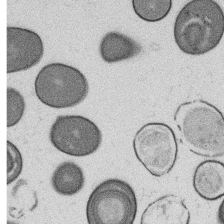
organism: B. subtilis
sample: Bacterial spore